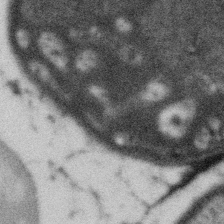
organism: Gemmata obscuriglobus